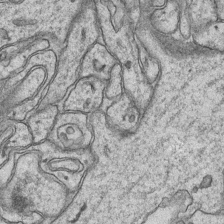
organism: Mouse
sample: CA1 Hippocampus